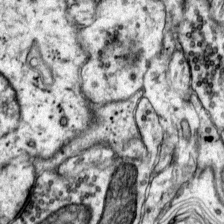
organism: Mouse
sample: Primary visual cortex